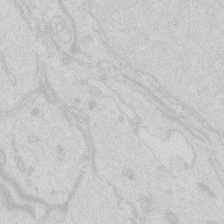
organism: Zebrafish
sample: Macrophage